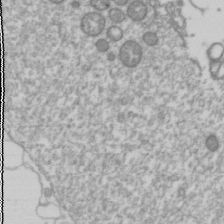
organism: Drosophila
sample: Cell division; meiosis; drosophila spermatocytes